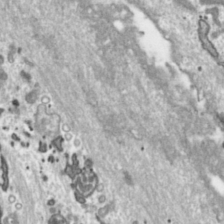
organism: Toxoplasma gondii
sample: Parasites in a vacuole inside a host cell